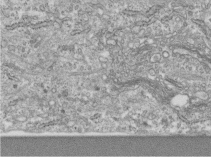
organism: Human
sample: Centriole in RPE cells